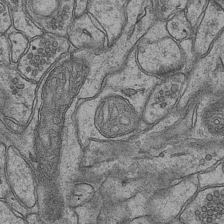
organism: Mouse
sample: CA1 Hippocampus